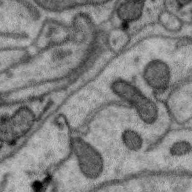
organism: Zebra finch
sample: Brain